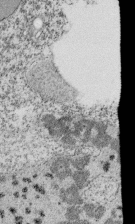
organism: Tetrahymena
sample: Cilia in tetrahymena